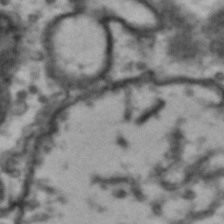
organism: Drosophila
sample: Brain